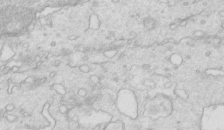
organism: Mouse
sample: Multiciliated cells